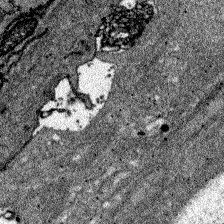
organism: Zebrafish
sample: Larval olfactory bulb